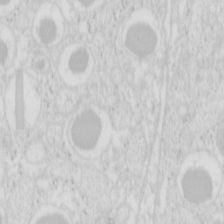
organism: Mouse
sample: Pancreas